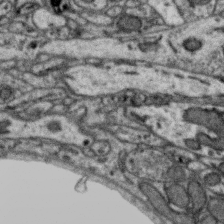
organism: Zebra finch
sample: Brain